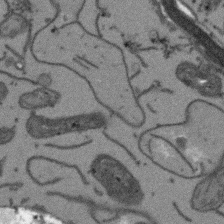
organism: Arabidopsis thaliana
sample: Root tip